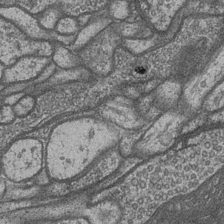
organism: Drosophila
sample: Optic medulla